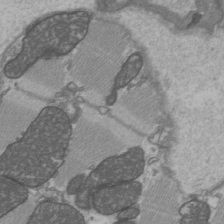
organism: C57BL Mouse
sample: Heart